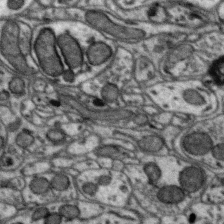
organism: Zebra finch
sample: Brain